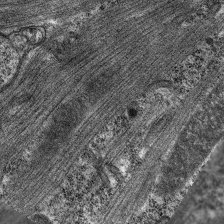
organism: C. elegans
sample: Pharynx